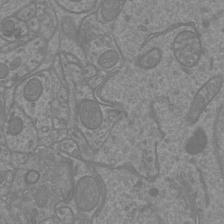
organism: Mouse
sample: Cortical neurons